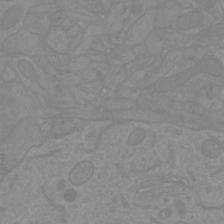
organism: Mouse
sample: Cortical neurons